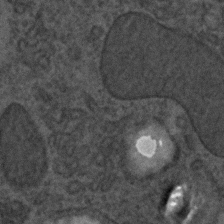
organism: C. elegans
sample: C. elegans embryo